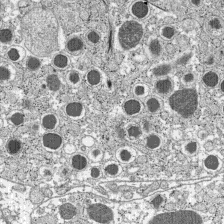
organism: C57BL Mouse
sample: Pancreatic islet